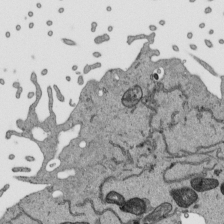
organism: Human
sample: Mitochondria in HCT116 cells